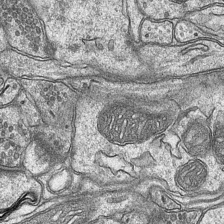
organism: Mouse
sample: CA1 Hippocampus